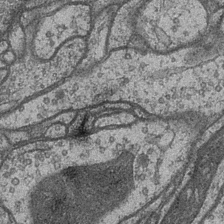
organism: Drosophila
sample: Optic medulla